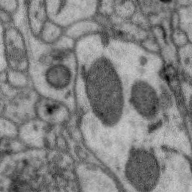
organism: Zebra finch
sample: Brain